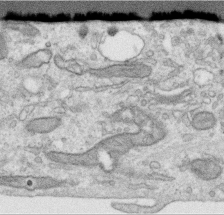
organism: Human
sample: Centriole in RPE cells